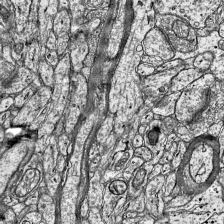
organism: Mouse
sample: Visual Cortex